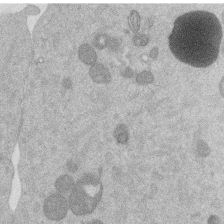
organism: Mouse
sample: Dividing mouse embryo 1 cell stage